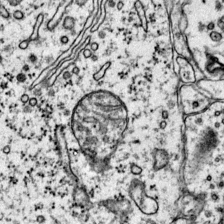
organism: Mouse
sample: Primary visual cortex